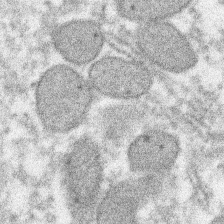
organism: Xenopus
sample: Cilia; centrioles in frog embryo cells